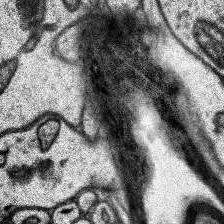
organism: Human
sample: Temporal Lobe